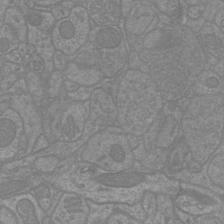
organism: Mouse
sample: Cortical neurons